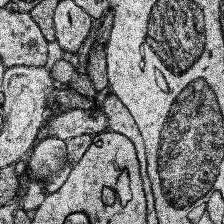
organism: Human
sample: Temporal Lobe